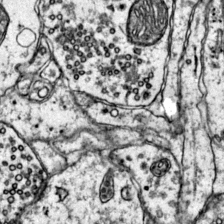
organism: Mouse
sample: Primary visual cortex